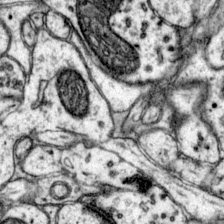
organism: Mouse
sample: Primary visual cortex